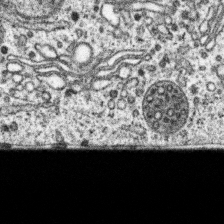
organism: Human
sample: HeLa cells